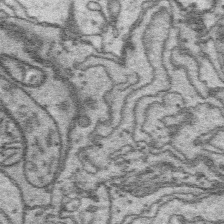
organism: Platynereis dumerilii